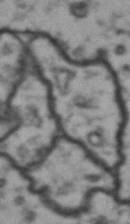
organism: Drosophila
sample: Brain